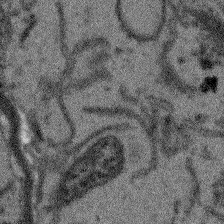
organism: Arabidopsis thaliana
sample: Root tip